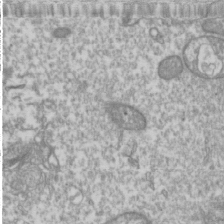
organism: Drosophila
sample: Cell division; meiosis; drosophila spermatocytes